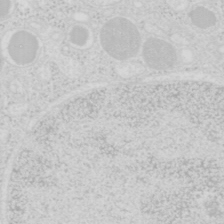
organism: Mouse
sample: Pancreas